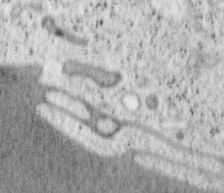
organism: Mouse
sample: OT-I killer T cells with ID8 ovarian cancer cells